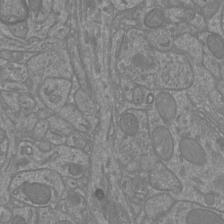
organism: Mouse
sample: Cortical neurons